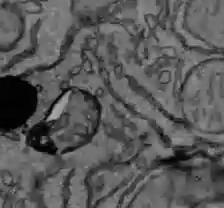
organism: C57BL Mouse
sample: Liver